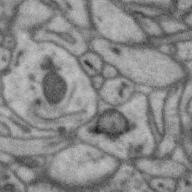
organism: Zebra finch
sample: Brain